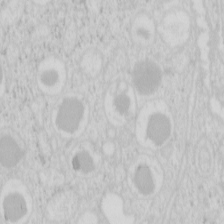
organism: Mouse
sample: Pancreas